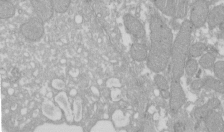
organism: Xenopus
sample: Cilia; centrioles in frog embryo cells